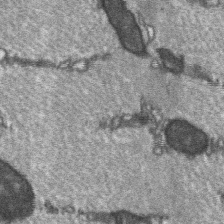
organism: C57BL Mouse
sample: Soleus